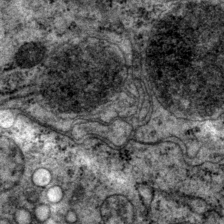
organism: P. pacificus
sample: Pharynx